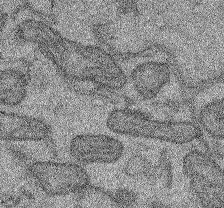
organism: Human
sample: HeLa cells